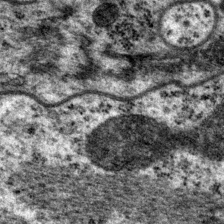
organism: P. pacificus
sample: Pharynx